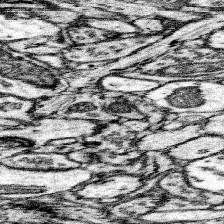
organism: Mouse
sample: Somatosensory cortex neuropil